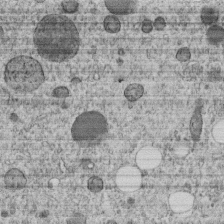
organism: C. elegans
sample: C. elegans embryo early stage